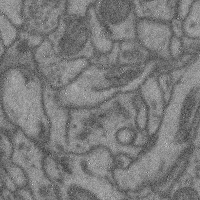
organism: Mouse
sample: Cerebral cortex